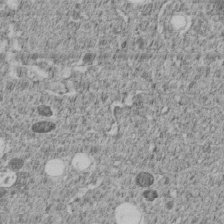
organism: C. elegans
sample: C. elegans embryo early stage